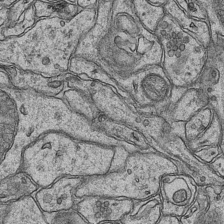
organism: Mouse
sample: CA1 Hippocampus